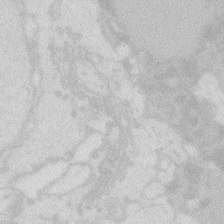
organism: Zebrafish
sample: Macrophage